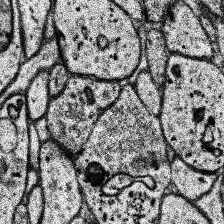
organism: Human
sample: Temporal Lobe